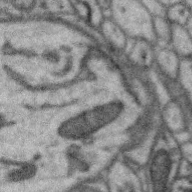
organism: Zebra finch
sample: Brain